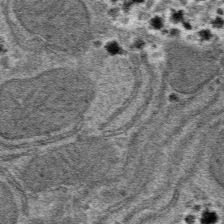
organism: Mouse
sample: Mouse hepatocytes